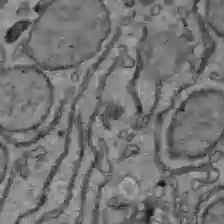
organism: C57BL Mouse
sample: Liver